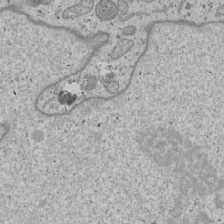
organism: Human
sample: Mitochondria in U2OS cells